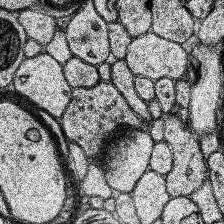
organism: Human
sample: Temporal Lobe